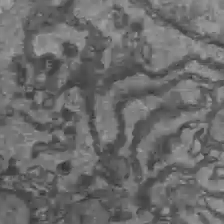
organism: C57BL Mouse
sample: Liver